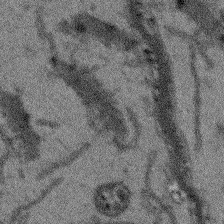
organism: Arabidopsis thaliana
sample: Root tip